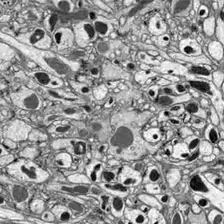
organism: Drosophila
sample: Optic lobe